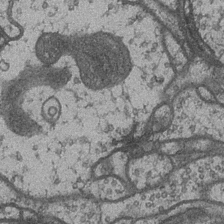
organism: Drosophila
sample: Optic medulla